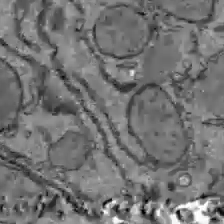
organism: C57BL Mouse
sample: Liver